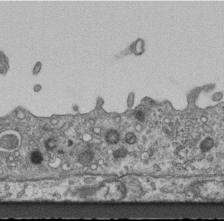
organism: Mouse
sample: Centriole in ependymal cells